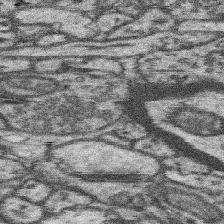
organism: Mouse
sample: Somatosensory cortex neuropil